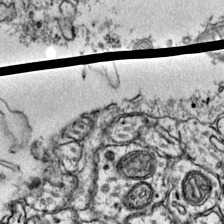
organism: Mouse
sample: Primary visual cortex